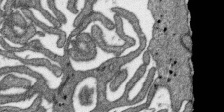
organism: Human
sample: Lung epithelial cells, uninfected (mock) control